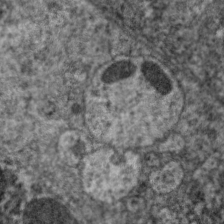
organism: C. elegans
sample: Pharynx